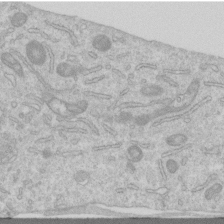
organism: Human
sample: Centriole in RPE cells